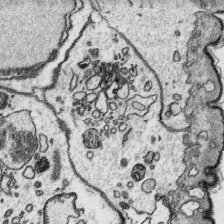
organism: Platynereis dumerilii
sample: Parapodia